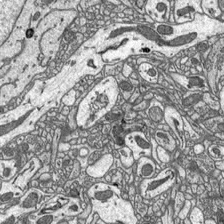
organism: C57BL Mouse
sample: Optic nerve head